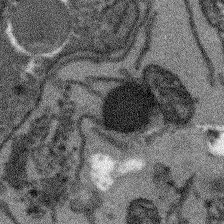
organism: Arabidopsis thaliana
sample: Root tip